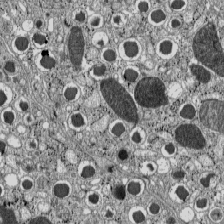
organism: C57BL Mouse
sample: Pancreatic islet